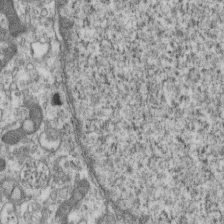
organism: Mouse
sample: Centriole in ependymal cells